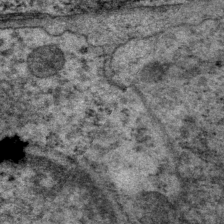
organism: P. pacificus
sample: Pharynx